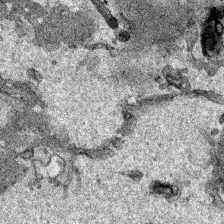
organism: Human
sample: Mitochondria in HCT116 cells